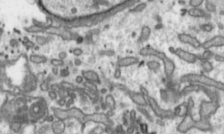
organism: Toxoplasma gondii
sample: Parasites in a vacuole inside a host cell